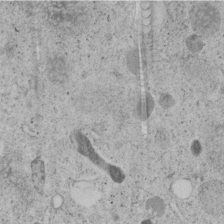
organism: C. elegans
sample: C. elegans embryo early stage